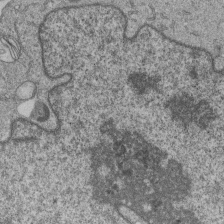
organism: Human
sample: MDA-MB-231 cells